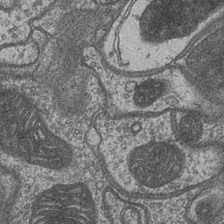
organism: Drosophila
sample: Optic medulla